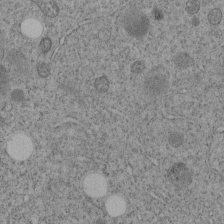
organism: C. elegans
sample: C. elegans embryo early stage